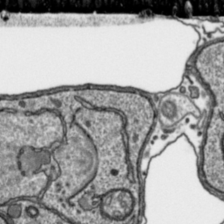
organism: Toxoplasma gondii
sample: Parasites in a vacuole inside a host cell